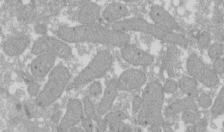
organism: Xenopus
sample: Cilia; centrioles in frog embryo cells